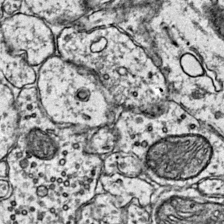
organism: Mouse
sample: Primary visual cortex